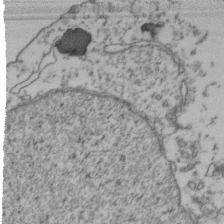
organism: Human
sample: Activated Jurkat CD4+ T cells